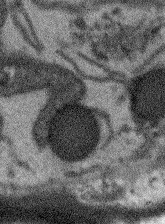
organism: Arabidopsis thaliana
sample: Root tip